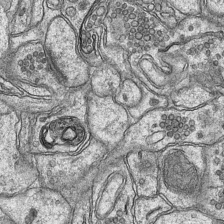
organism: Mouse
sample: CA1 Hippocampus